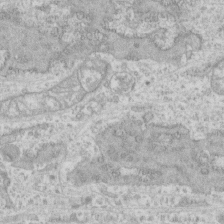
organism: Human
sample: CRL-1474